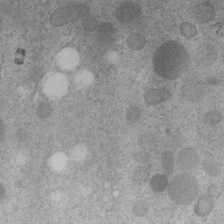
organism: C. elegans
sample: C. elegans embryo early stage